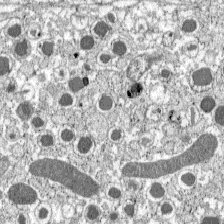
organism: C57BL Mouse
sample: Pancreatic islet